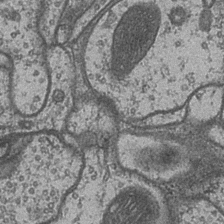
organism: Drosophila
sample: Optic medulla